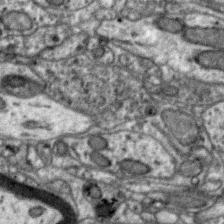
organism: Zebra finch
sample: Brain